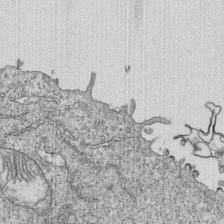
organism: Human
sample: HeLa cell HIV synapse